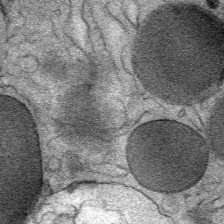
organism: Mouse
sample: Mouse Salivary gland